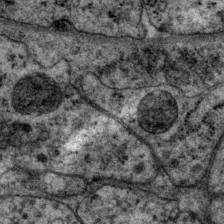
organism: P. pacificus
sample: Pharynx